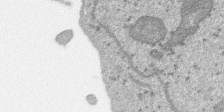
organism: Human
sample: Lung epithelial cells infected with SARS-CoV-2